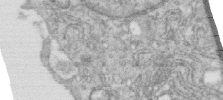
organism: Human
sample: Centriole in RPE cells